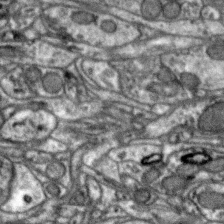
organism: Zebra finch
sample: Brain